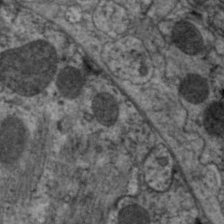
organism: C. elegans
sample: Pharynx